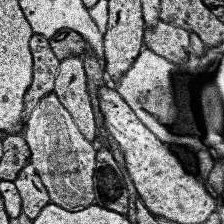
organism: Human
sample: Temporal Lobe